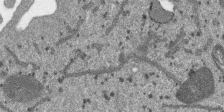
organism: Human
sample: Lung epithelial cells infected with SARS-CoV-2